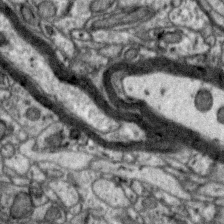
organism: Zebra finch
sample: Brain